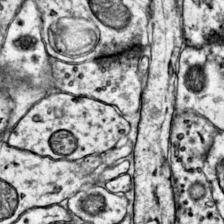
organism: Mouse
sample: Primary visual cortex